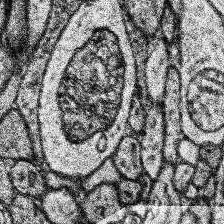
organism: Human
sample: Temporal Lobe